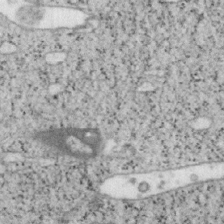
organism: Mouse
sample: OT-I killer T cells with ID8 ovarian cancer cells